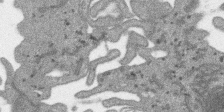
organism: Human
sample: Lung epithelial cells infected with SARS-CoV-2